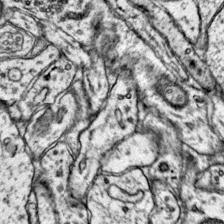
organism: Mouse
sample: Primary visual cortex